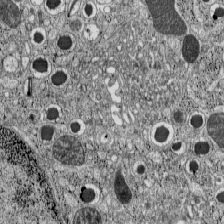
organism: C57BL Mouse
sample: Pancreatic islet